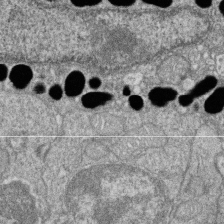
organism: Zebrafish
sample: Cilia; retinal pigment epithelium